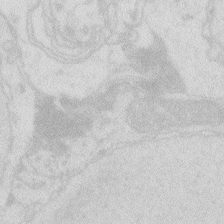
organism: Zebrafish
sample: Macrophage